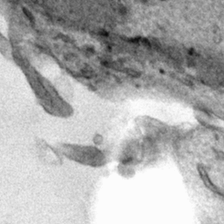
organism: Human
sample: Mitochondria in HCT116 cells